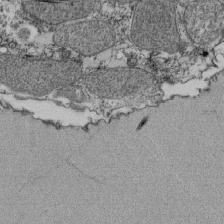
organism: Tetrahymena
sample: Cilia in tetrahymena